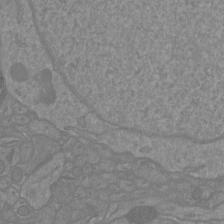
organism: Mouse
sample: Cortical neurons